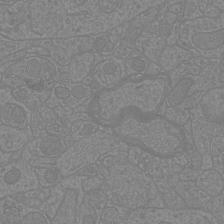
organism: Mouse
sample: Cortical neurons